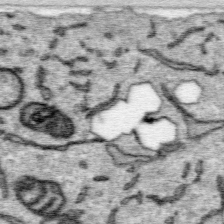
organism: Human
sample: HeLa cells